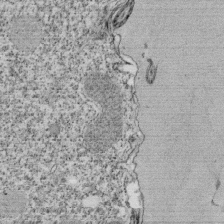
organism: Tetrahymena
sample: Cilia in tetrahymena